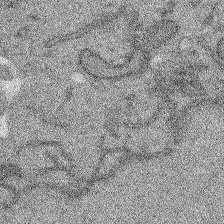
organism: Human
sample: HeLa cells